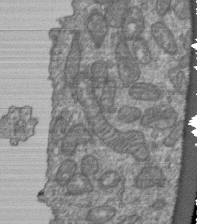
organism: Human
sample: Retinal organoid Rod and Cone cells